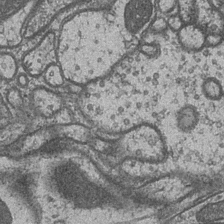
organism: Drosophila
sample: Optic medulla